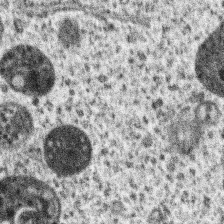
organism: Human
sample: HeLa cells